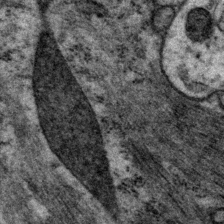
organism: P. pacificus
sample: Pharynx